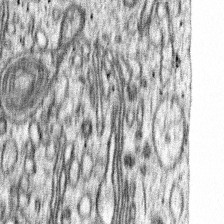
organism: Human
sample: HeLa cells